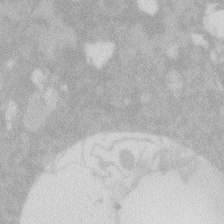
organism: Zebrafish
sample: Macrophage